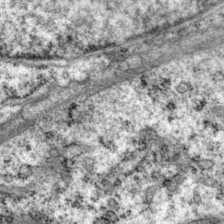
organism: P. pacificus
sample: Pharynx